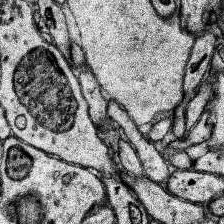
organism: Human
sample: Temporal Lobe